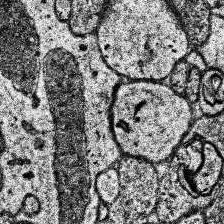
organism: Human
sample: Temporal Lobe